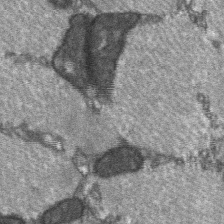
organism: C57BL Mouse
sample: Soleus